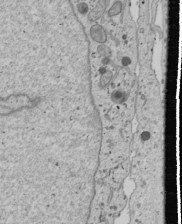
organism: Human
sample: Mitochondria in U2OS cells